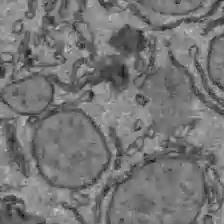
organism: C57BL Mouse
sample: Liver